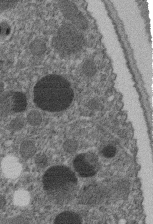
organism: C. elegans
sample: C. elegans embryo early stage